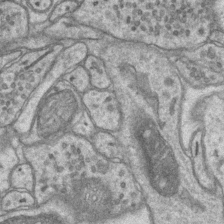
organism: Mouse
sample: CA1 Hippocampus